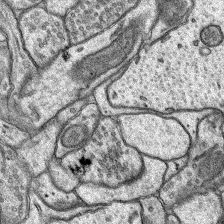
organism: Rat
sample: Hippocampus